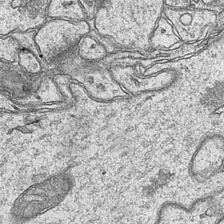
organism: Mouse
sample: CA1 Hippocampus